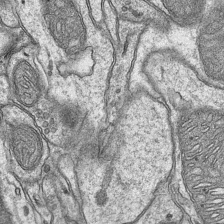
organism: Mouse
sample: CA1 Hippocampus